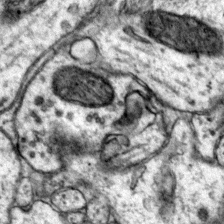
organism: Mouse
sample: Primary visual cortex